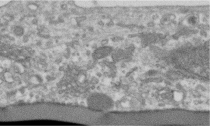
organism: Human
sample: Centriole in RPE cells